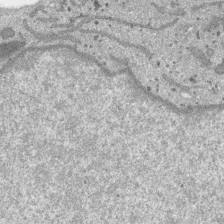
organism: Human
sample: Lung epithelial cells infected with SARS-CoV-2